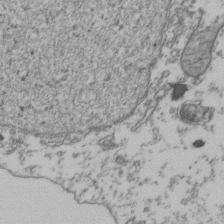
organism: Human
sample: Activated Jurkat CD4+ T cells